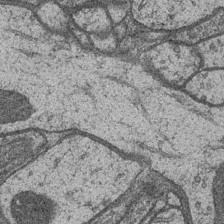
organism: Drosophila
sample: Optic medulla